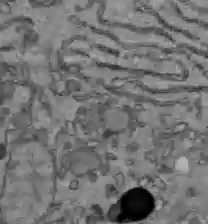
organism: C57BL Mouse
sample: Liver